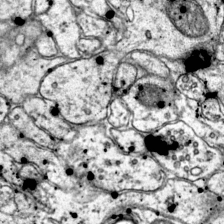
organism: Mouse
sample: Primary visual cortex